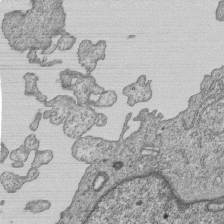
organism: Human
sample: MDA-MB-231 cells